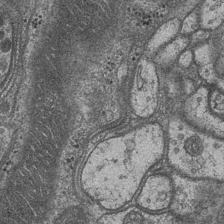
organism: Drosophila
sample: Optic medulla